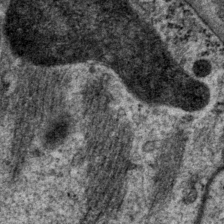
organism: P. pacificus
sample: Pharynx